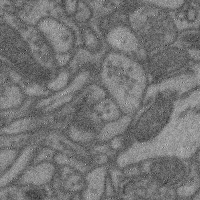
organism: Mouse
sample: Cerebral cortex